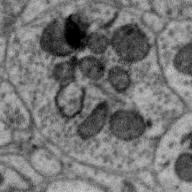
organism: Zebra finch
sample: Brain